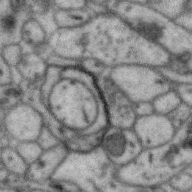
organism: Zebra finch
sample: Brain